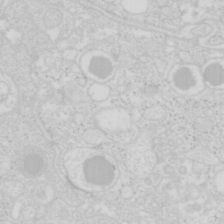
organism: Mouse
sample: Pancreas